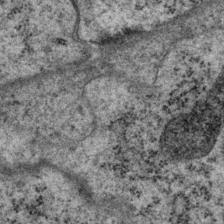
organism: P. pacificus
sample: Pharynx